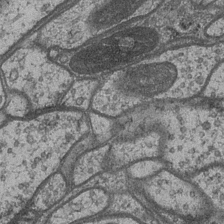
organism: Drosophila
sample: Optic medulla